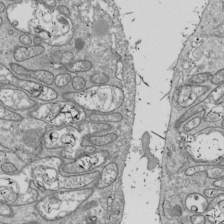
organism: Drosophila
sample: Cell division; meiosis; drosophila spermatocytes